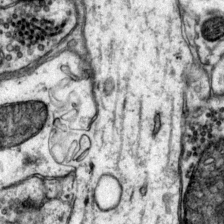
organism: Mouse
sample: Primary visual cortex